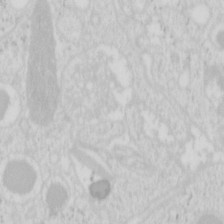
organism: Mouse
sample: Pancreas